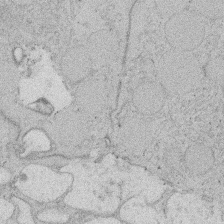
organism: Rat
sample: Salivary granule